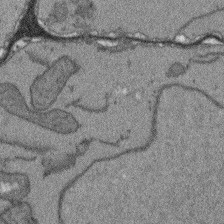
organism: Arabidopsis thaliana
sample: Root tip